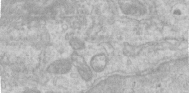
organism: Human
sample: Centriole in RPE cells